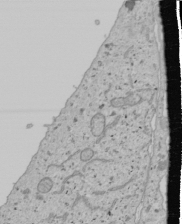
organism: Human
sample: Mitochondria in U2OS cells